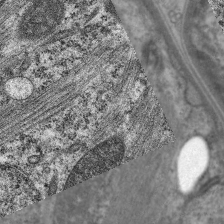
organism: C. elegans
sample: Pharynx